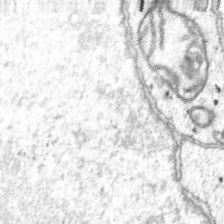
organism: Human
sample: HeLa cells